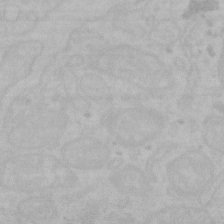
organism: Mouse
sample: Choroid plexus